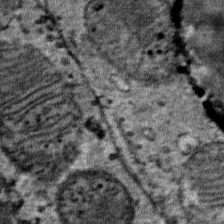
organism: Mouse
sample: Mouse Salivary gland